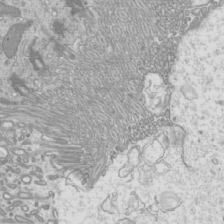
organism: Mouse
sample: Cilia; mouse epididymis